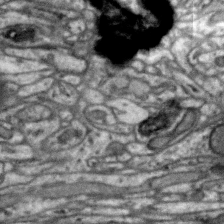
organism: Zebra finch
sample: Brain